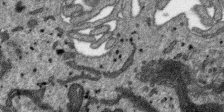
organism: Human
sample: Lung epithelial cells, uninfected (mock) control